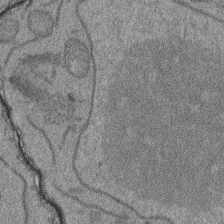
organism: Arabidopsis thaliana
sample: Root tip